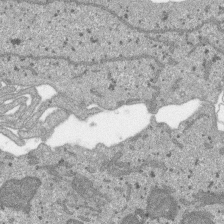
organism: Human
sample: Lung epithelial cells infected with SARS-CoV-2